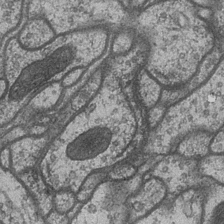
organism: Drosophila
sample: Optic medulla